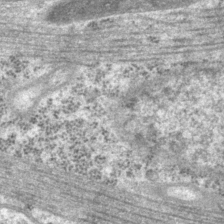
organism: P. pacificus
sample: Pharynx